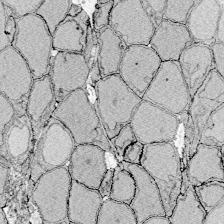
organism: Zebrafish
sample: Whole-Brain